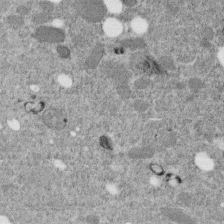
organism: C. elegans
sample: C. elegans embryo early stage